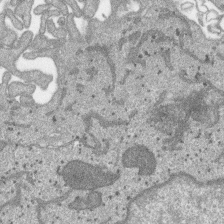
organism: Human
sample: Lung epithelial cells infected with SARS-CoV-2